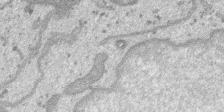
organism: Human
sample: Lung epithelial cells infected with SARS-CoV-2